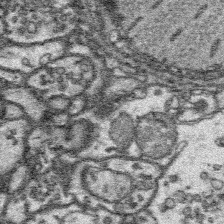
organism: Platynereis dumerilii